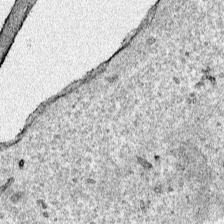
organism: Human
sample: Mitochondria in HCT116 cells